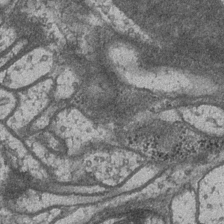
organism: Drosophila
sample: Optic medulla